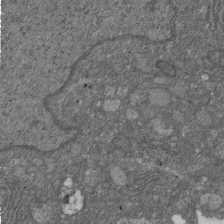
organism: Drosophila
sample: Nephrocyte